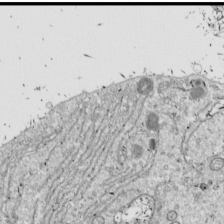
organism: Drosophila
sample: Cell division; meiosis; drosophila spermatocytes